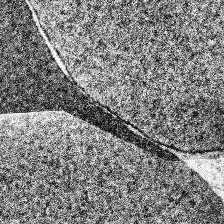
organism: Human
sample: Temporal Lobe